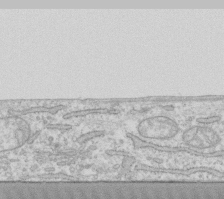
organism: Human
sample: Fibroblast cells